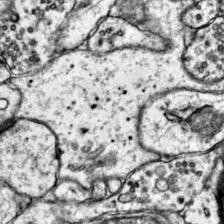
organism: Mouse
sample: Primary visual cortex